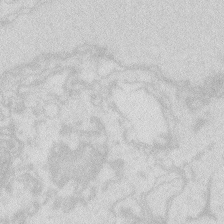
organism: Zebrafish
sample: Macrophage